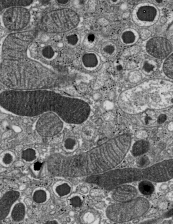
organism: C57BL Mouse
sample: Pancreatic islet